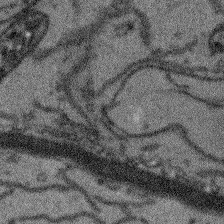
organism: Arabidopsis thaliana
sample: Root tip